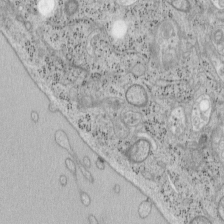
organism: Mouse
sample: OT-I killer T cells with ID8 ovarian cancer cells